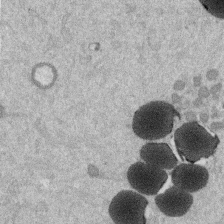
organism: Mouse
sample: Dividing mouse embryo 1 cell stage